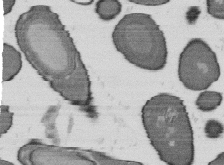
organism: B. subtilis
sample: Bacterial spore